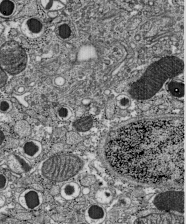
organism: C57BL Mouse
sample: Pancreatic islet